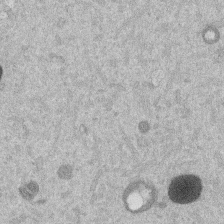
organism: Mouse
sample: Dividing mouse embryo 1 cell stage